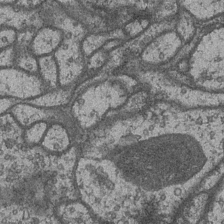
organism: Drosophila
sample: Optic medulla